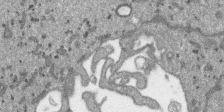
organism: Human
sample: Lung epithelial cells infected with SARS-CoV-2